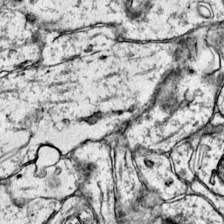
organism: Mouse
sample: Primary visual cortex